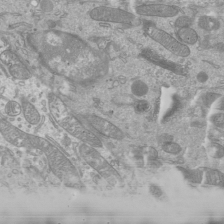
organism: Mouse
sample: Cilia; mouse epididymis